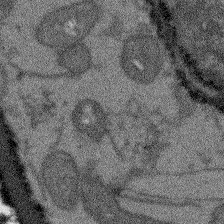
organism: Arabidopsis thaliana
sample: Root tip